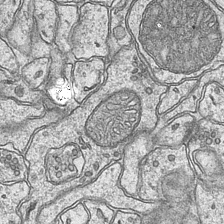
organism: Mouse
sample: CA1 Hippocampus